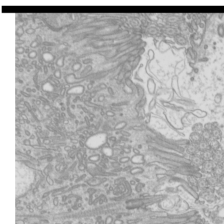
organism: Mouse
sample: Cilia; mouse epididymis